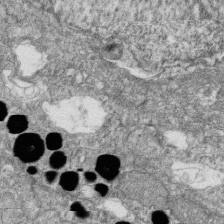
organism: Zebrafish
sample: Cilia; retinal pigment epithelium